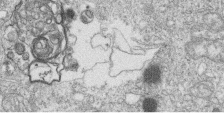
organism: Human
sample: HeLa cell HIV synapse